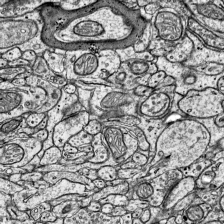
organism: Mouse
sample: Visual Cortex